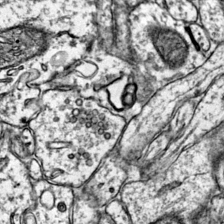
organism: Mouse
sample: Primary visual cortex